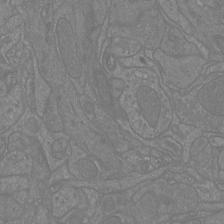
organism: Mouse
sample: Cortical neurons